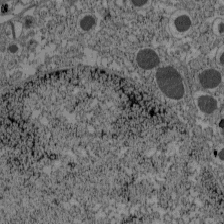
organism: C57BL Mouse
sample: Pancreatic islet